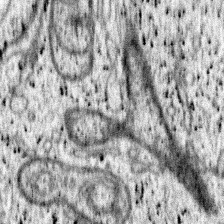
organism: Human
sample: HeLa cells